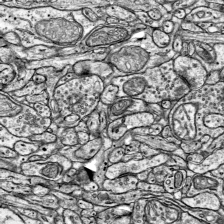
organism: Mouse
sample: Visual Cortex